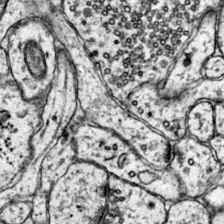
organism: Mouse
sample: Primary visual cortex